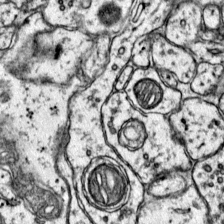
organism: Mouse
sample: Primary visual cortex